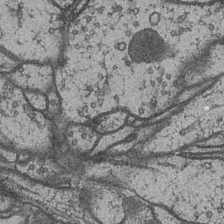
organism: Drosophila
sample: Optic medulla